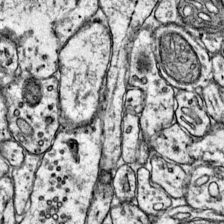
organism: Mouse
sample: Primary visual cortex